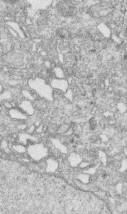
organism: Human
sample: HeLa cell HIV synapse